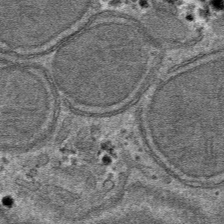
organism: Mouse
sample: Mouse hepatocytes